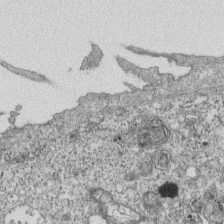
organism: Human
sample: HeLa cell HIV synapse